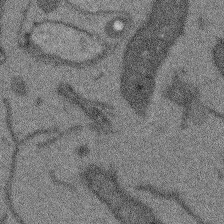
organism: Arabidopsis thaliana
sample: Root tip